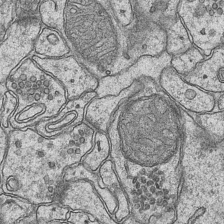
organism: Mouse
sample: CA1 Hippocampus